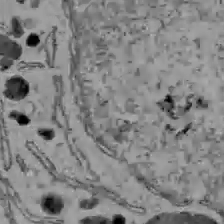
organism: C57BL Mouse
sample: Liver